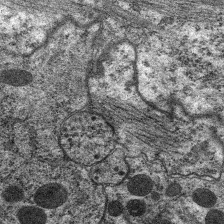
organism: C. elegans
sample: Pharynx